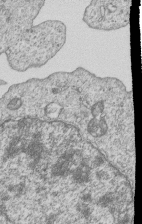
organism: Human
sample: MDA-MB-231 cells